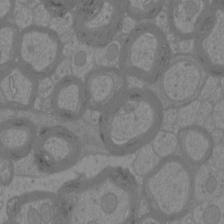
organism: Mouse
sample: Cortical neurons